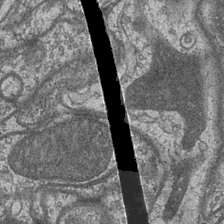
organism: Drosophila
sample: Optic medulla